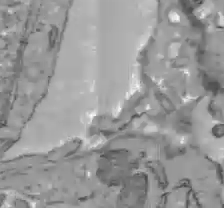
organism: C57BL Mouse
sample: Liver